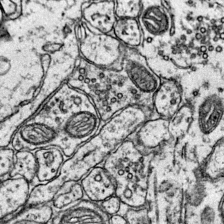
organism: Mouse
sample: Primary visual cortex